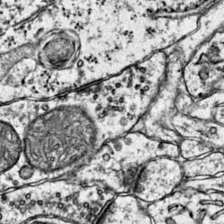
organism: Mouse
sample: Primary visual cortex